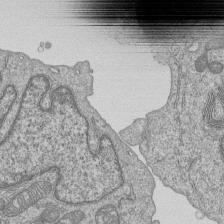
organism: Human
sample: MDA-MB-231 cells